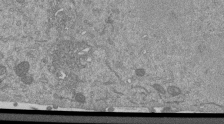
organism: Mouse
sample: ED-1 cell nuclei; centrioles